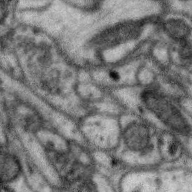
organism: Zebra finch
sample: Brain